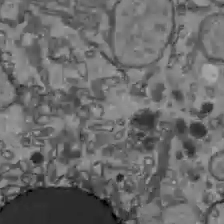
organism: C57BL Mouse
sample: Liver